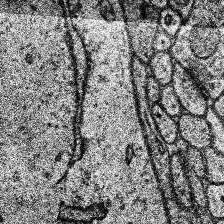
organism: Human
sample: Temporal Lobe